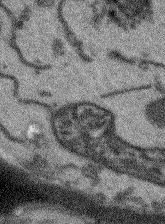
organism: Arabidopsis thaliana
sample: Root tip